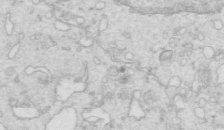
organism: Mouse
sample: Multiciliated cells